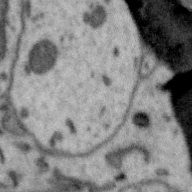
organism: Zebra finch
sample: Brain